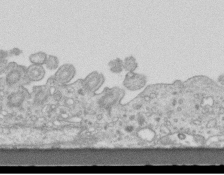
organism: Mouse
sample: Centriole in ependymal cells